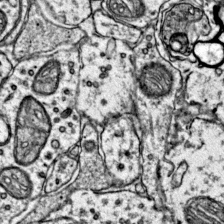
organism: Mouse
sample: Primary visual cortex